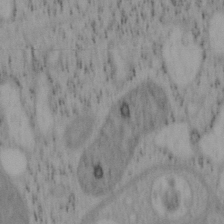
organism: Mouse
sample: OT-I killer T cells with ID8 ovarian cancer cells